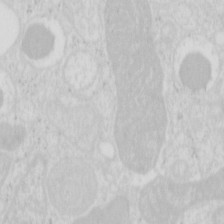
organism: Mouse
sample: Pancreas